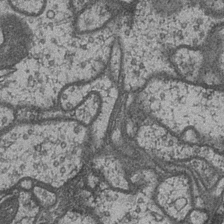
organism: Drosophila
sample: Optic medulla